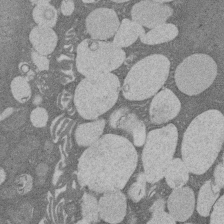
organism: Rat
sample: Salivary granule